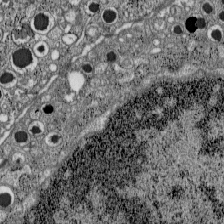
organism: C57BL Mouse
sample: Pancreatic islet